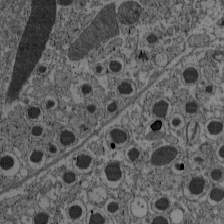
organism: C57BL Mouse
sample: Pancreatic islet